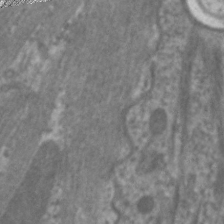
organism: C. elegans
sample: Pharynx